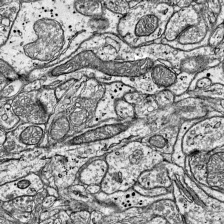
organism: Mouse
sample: Visual Cortex